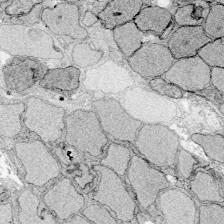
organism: Zebrafish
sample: Whole-Brain